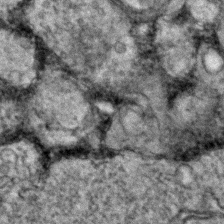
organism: Zebrafish